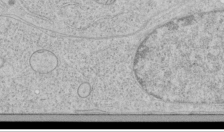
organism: Human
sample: Mitochondria in HCT116 cells